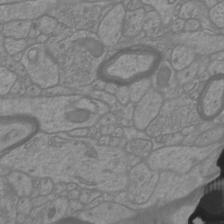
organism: Mouse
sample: Cortical neurons